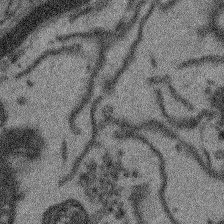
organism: Arabidopsis thaliana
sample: Root tip